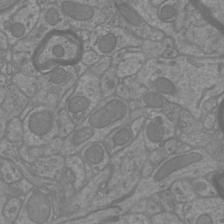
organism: Mouse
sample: Cortical neurons